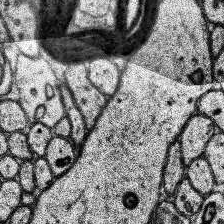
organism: Human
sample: Temporal Lobe